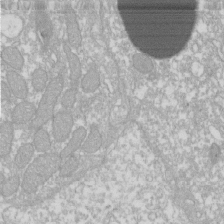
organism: Xenopus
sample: Cilia; centrioles in frog embryo cells